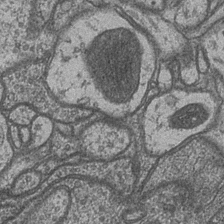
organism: Drosophila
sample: Optic medulla